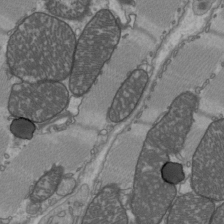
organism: C57BL Mouse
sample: Heart